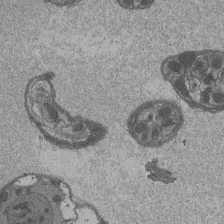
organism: Drosophila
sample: Antenna